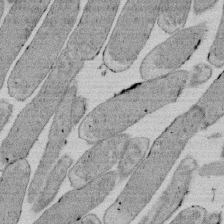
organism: E. coli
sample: Bacterial nucleoid